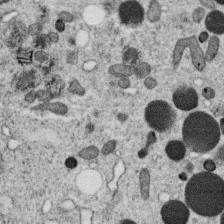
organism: C. elegans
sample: C. elegans oocyte; sperm cells